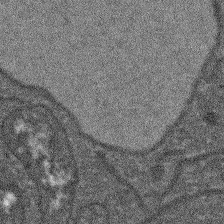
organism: Arabidopsis thaliana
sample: Root tip